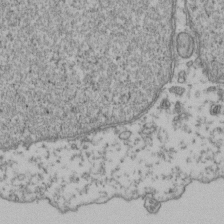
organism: Human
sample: Activated Jurkat CD4+ T cells